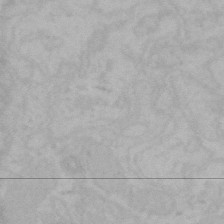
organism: Mouse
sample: Choroid plexus